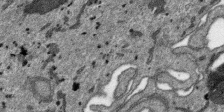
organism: Human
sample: Lung epithelial cells, uninfected (mock) control